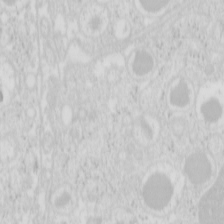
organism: Mouse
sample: Pancreas